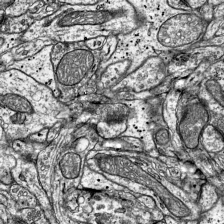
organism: Mouse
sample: Visual Cortex